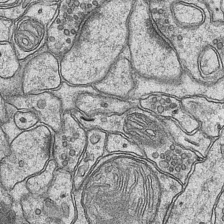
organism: Mouse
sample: CA1 Hippocampus